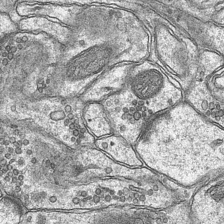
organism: Mouse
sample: CA1 Hippocampus